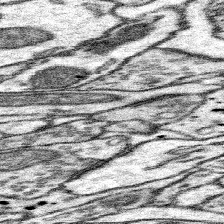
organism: Mouse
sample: Somatosensory cortex neuropil